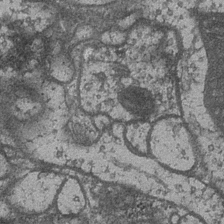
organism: Drosophila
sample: Optic medulla